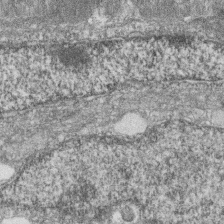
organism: Zebrafish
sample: Cilia; retinal pigment epithelium